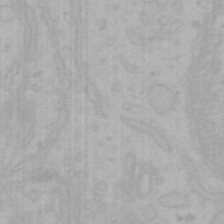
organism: Mouse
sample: Choroid plexus